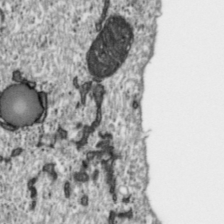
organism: Toxoplasma gondii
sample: Parasites in a vacuole inside a host cell